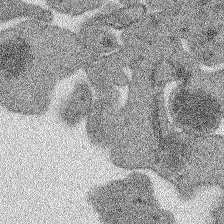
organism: Human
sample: HeLa cells